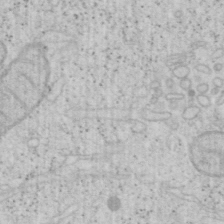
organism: Human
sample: HeLa cells